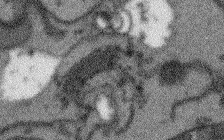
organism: Arabidopsis thaliana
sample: Root tip